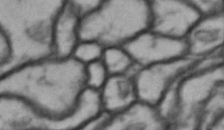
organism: Drosophila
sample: Brain